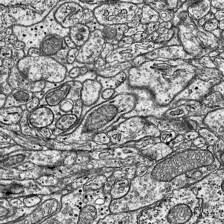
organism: Mouse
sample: Visual Cortex